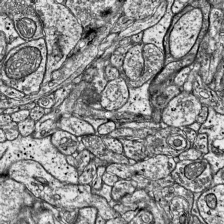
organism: Mouse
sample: Visual Cortex